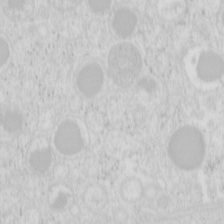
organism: Mouse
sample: Pancreas